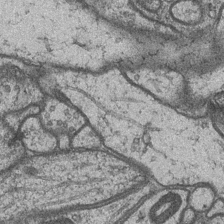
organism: Drosophila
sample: Optic medulla